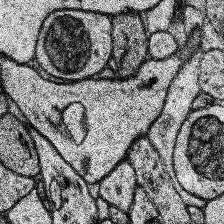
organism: Human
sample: Temporal Lobe